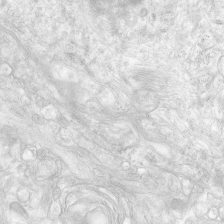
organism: Human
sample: Neocortex